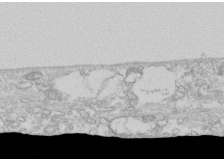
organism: Human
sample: CRL-1474